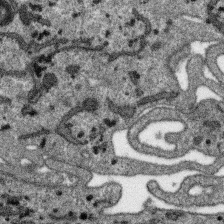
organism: Human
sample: Lung epithelial cells infected with SARS-CoV-2